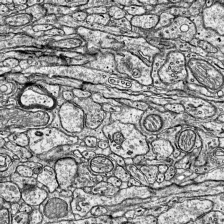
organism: Mouse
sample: Visual Cortex